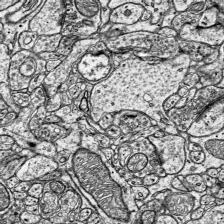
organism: Mouse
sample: Visual Cortex